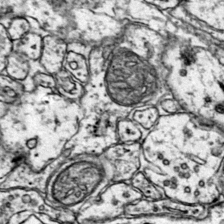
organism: Mouse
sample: Primary visual cortex